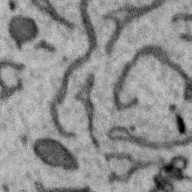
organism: Zebra finch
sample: Brain